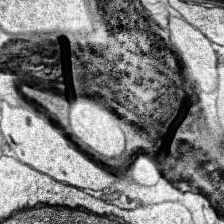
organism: Human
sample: Temporal Lobe